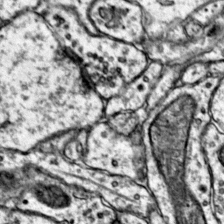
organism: Mouse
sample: Primary visual cortex